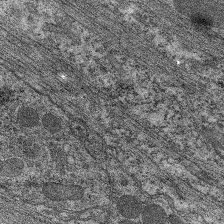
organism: C. elegans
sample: Pharynx